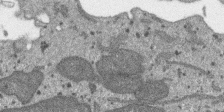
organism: Human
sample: Lung epithelial cells infected with SARS-CoV-2